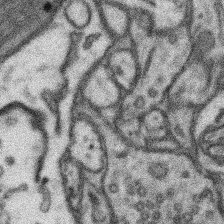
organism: Mouse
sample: Somatosensory cortex neuropil